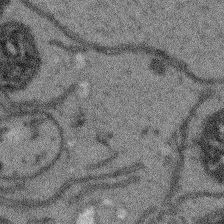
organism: Arabidopsis thaliana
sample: Root tip